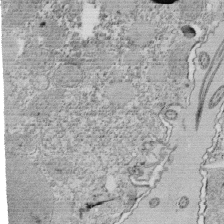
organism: Tetrahymena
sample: Cilia in tetrahymena